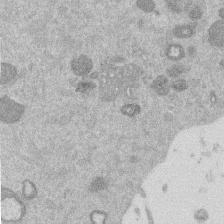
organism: Mouse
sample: Dividing mouse embryo 1 cell stage